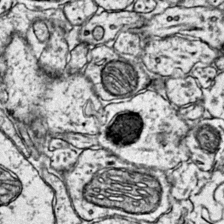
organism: Mouse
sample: Primary visual cortex